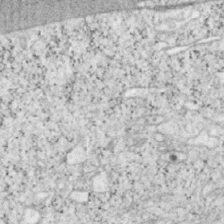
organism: Mouse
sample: OT-I killer T cells with ID8 ovarian cancer cells